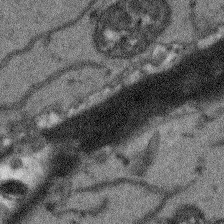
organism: Arabidopsis thaliana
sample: Root tip